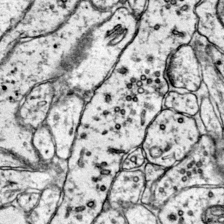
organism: Mouse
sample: Primary visual cortex